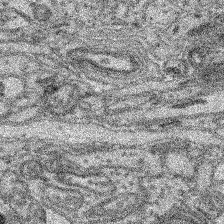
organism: Mouse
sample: Retina